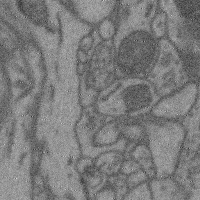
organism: Mouse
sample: Cerebral cortex